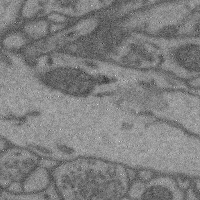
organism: Mouse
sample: Cerebral cortex